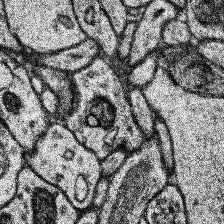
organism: Human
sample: Temporal Lobe